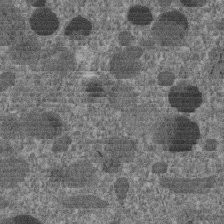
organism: C. elegans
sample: C. elegans embryo early stage